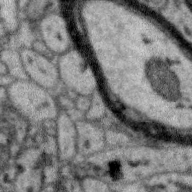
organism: Zebra finch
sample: Brain